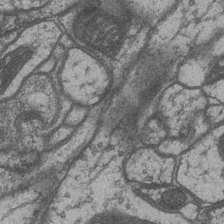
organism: Drosophila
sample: Optic medulla